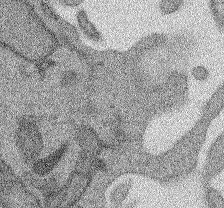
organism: Human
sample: HeLa cells